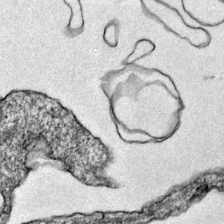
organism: Mouse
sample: Primary visual cortex